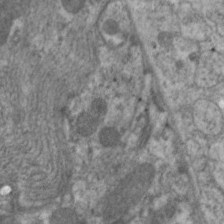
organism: C. elegans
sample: Pharynx